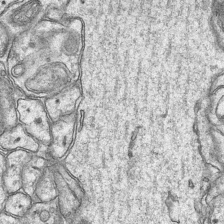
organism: Mouse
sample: CA1 Hippocampus